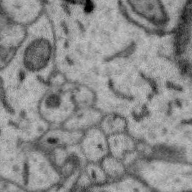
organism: Zebra finch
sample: Brain